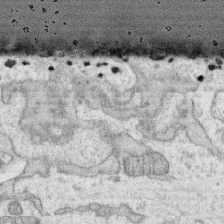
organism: Human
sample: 1205lu cells